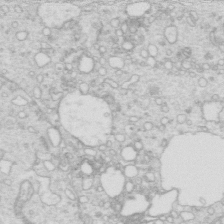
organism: Mouse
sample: Multiciliated cells